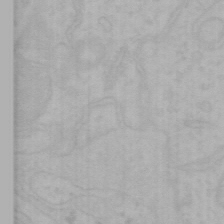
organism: Mouse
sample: Choroid plexus